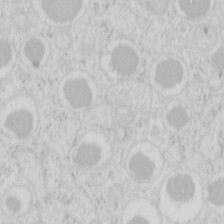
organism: Mouse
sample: Pancreas